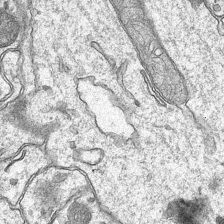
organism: Mouse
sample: CA1 Hippocampus